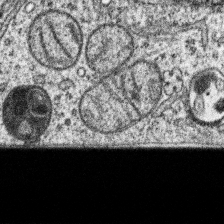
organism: Human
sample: HeLa cells